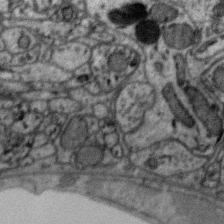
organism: Zebra finch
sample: Brain